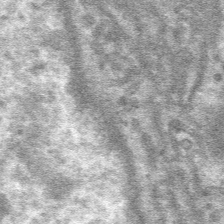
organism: Mouse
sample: Mouse hepatocytes